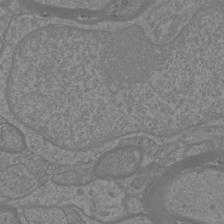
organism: Mouse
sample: Cortical neurons